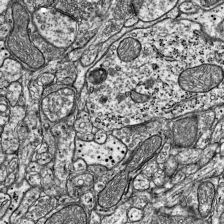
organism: Mouse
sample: Visual Cortex